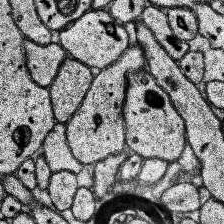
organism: Human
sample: Temporal Lobe